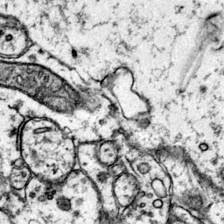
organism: Mouse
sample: Primary visual cortex